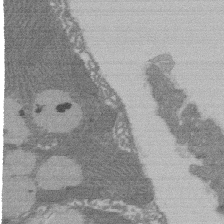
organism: Rat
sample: Salivary granule